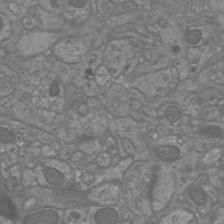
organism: Mouse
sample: Cortical neurons